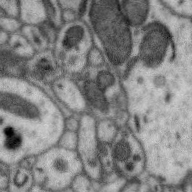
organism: Zebra finch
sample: Brain